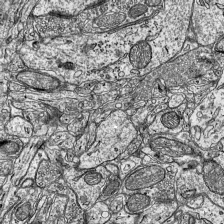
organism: Mouse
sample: Visual Cortex